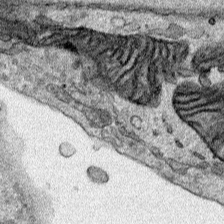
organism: Human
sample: Mitochondria in HCT116 cells